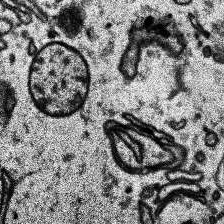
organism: Human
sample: Temporal Lobe